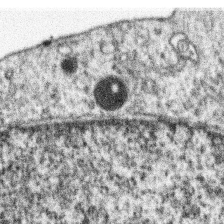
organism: Human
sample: HeLa cells